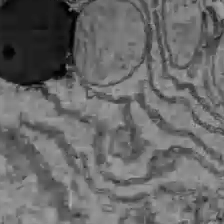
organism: C57BL Mouse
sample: Liver